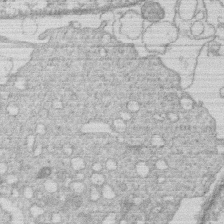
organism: Human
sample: Macrophage cells